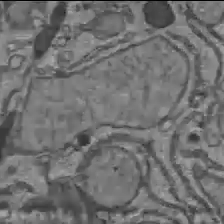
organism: C57BL Mouse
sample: Liver